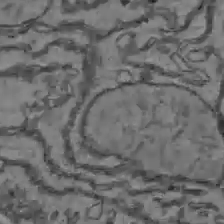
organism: C57BL Mouse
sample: Liver